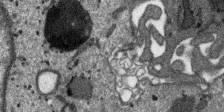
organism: Human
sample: Lung epithelial cells infected with SARS-CoV-2